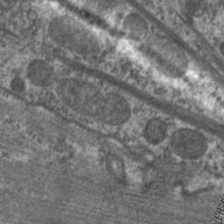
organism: C. elegans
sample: Pharynx